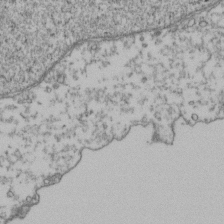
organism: Human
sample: Activated Jurkat CD4+ T cells